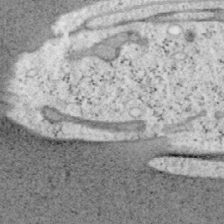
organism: Mouse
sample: OT-I killer T cells with ID8 ovarian cancer cells